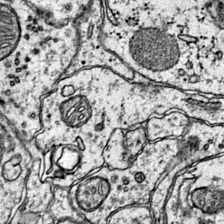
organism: Mouse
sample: Primary visual cortex